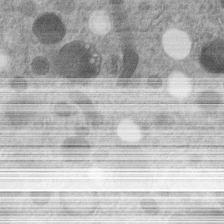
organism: C. elegans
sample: C. elegans embryo early stage